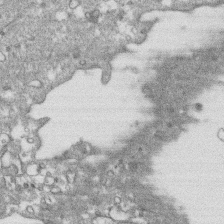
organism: Human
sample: CRL-1474